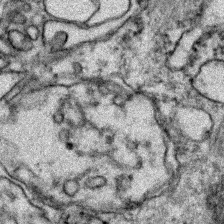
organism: Zebrafish